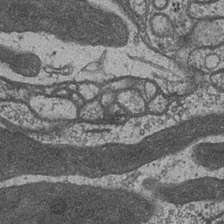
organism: Drosophila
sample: Optic medulla